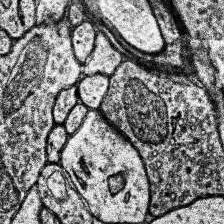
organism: Human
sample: Temporal Lobe